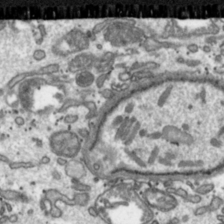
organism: Toxoplasma gondii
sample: Parasites in a vacuole inside a host cell